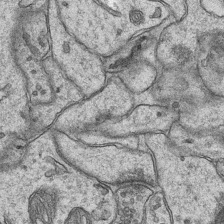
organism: Mouse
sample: CA1 Hippocampus